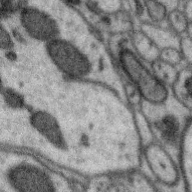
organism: Zebra finch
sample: Brain